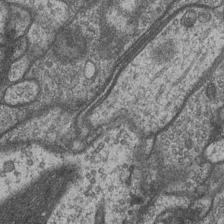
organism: Drosophila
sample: Optic medulla